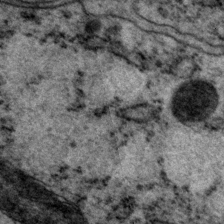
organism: P. pacificus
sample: Pharynx